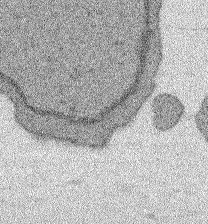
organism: Human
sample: HeLa cells